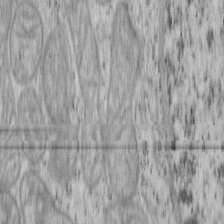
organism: Human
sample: HeLa cells